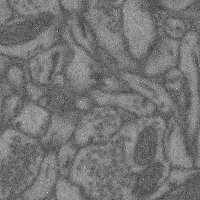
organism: Mouse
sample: Cerebral cortex